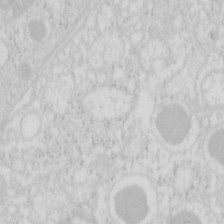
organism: Mouse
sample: Pancreas